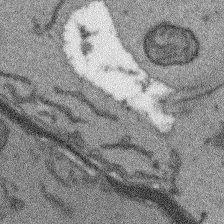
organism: Arabidopsis thaliana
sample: Root tip